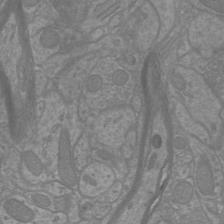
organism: Mouse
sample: Cortical neurons